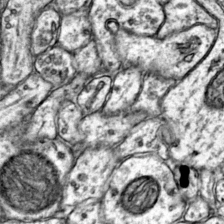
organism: Mouse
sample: Primary visual cortex